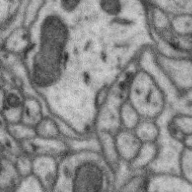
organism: Zebra finch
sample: Brain